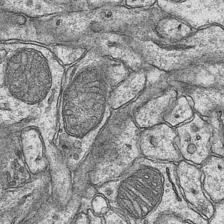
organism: Mouse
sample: CA1 Hippocampus